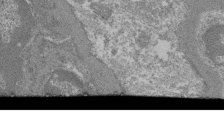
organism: Mouse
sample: Glomerulus